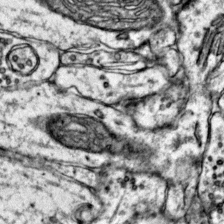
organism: Mouse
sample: Primary visual cortex